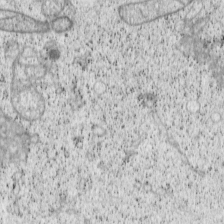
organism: African green monkey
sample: COS-7 cells